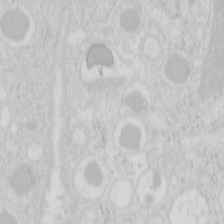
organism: Mouse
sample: Pancreas